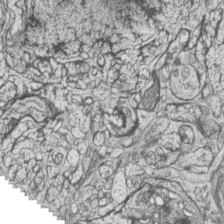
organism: Zebrafish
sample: synaptic ribbons in rod cells and cone cells